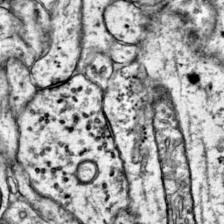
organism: Mouse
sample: Primary visual cortex